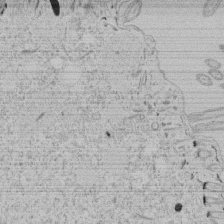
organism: Tetrahymena